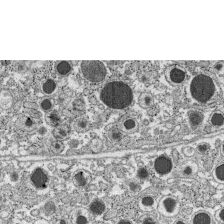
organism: C57BL Mouse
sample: Pancreatic islet